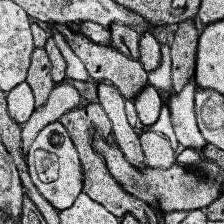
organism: Human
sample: Temporal Lobe